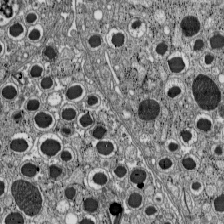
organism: C57BL Mouse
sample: Pancreatic islet